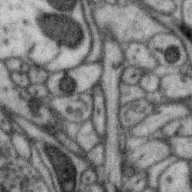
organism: Zebra finch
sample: Brain